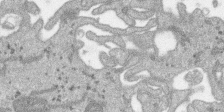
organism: Human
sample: Lung epithelial cells infected with SARS-CoV-2